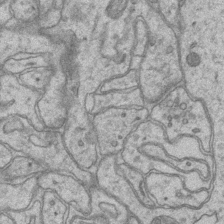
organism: Mouse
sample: CA1 Hippocampus